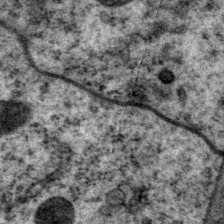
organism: P. pacificus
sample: Pharynx